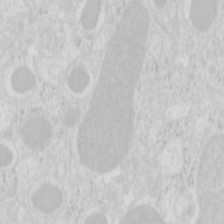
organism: Mouse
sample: Pancreas